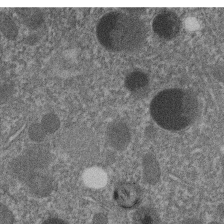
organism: C. elegans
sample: C. elegans embryo early stage